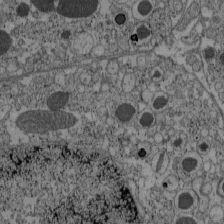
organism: C57BL Mouse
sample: Pancreatic islet